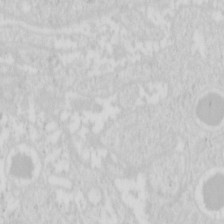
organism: Mouse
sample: Pancreas